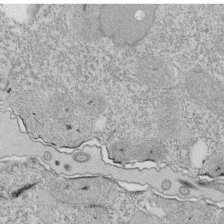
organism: Tetrahymena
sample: Cilia in tetrahymena